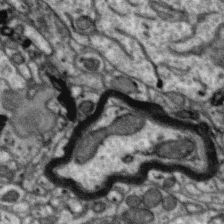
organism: Zebra finch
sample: Brain